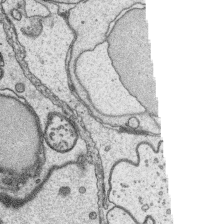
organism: Platynereis dumerilii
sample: Parapodia